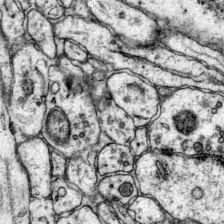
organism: Mouse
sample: Primary visual cortex